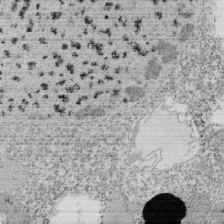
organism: Tetrahymena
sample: Cilia in tetrahymena